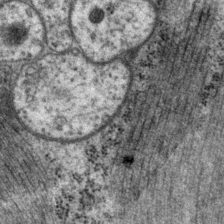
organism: P. pacificus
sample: Pharynx